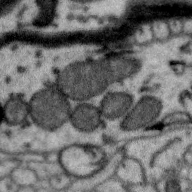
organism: Zebra finch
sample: Brain